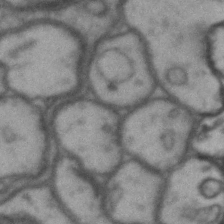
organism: Drosophila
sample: Brain